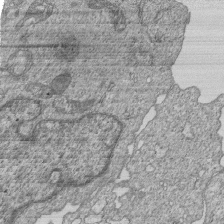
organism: Human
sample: MDA-MB-231 cells